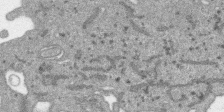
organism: Human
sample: Lung epithelial cells infected with SARS-CoV-2